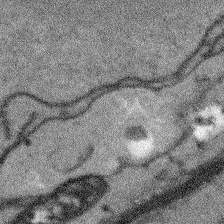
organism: Arabidopsis thaliana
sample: Root tip